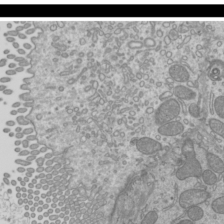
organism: Mouse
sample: Cilia; mouse epididymis